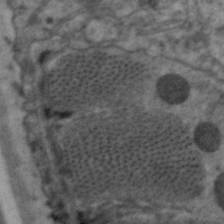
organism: C. elegans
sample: Pharynx